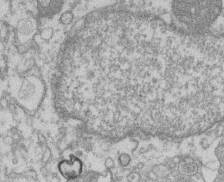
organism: Mouse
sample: T cell stromal cell synapse